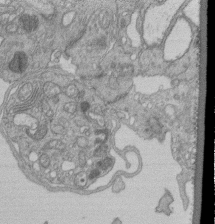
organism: Human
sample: Retinal organoid Rod and Cone cells